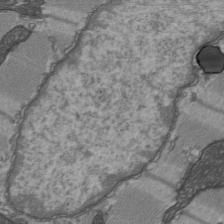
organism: C57BL Mouse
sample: Heart